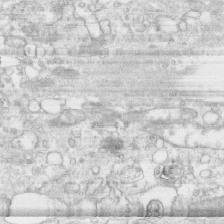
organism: Human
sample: CRL-1474